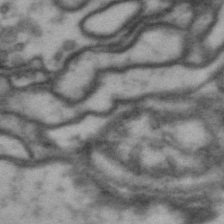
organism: Drosophila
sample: Brain